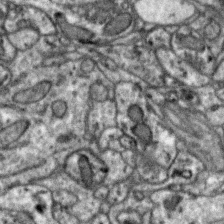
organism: Zebra finch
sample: Brain